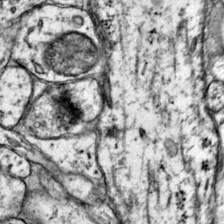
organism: Mouse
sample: Primary visual cortex